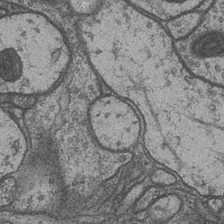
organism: Drosophila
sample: Optic medulla